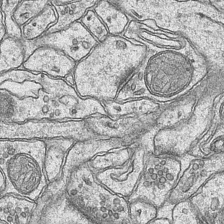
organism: Mouse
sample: CA1 Hippocampus